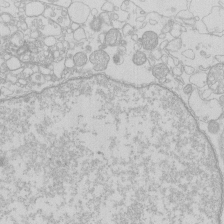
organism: Human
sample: Macrophage cells